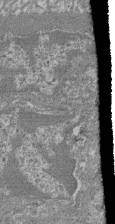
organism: Mouse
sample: Glomerulus